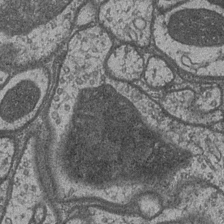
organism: Drosophila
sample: Optic medulla